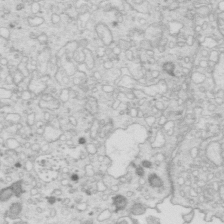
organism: Mouse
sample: Multiciliated cells